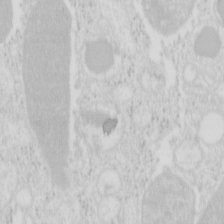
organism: Mouse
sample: Pancreas